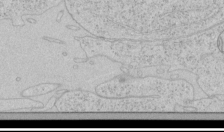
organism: Human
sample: Mitochondria in HCT116 cells